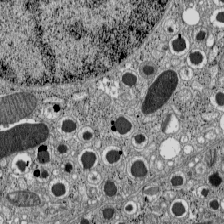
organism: C57BL Mouse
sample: Pancreatic islet